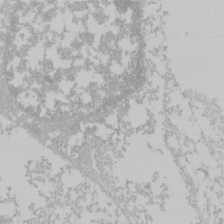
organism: Mouse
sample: Cancer cell death in ED-1 cells